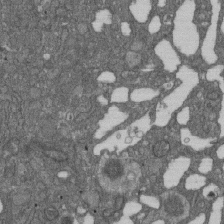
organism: Drosophila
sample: Nephrocyte